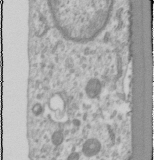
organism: Human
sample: Cilia; basal body in RPE cells